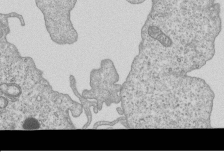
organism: Human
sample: MDA-MB-231 cells